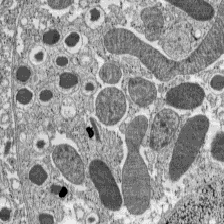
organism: C57BL Mouse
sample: Pancreatic islet